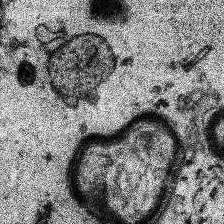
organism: Human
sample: Temporal Lobe